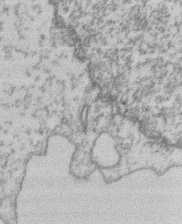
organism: Mouse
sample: T cell stromal cell synapse